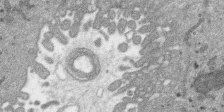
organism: Human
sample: Lung epithelial cells infected with SARS-CoV-2